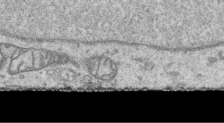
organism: Human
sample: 1205lu cells